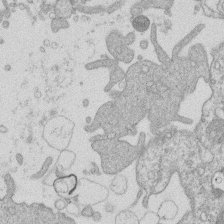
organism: Human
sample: Macrophage cells